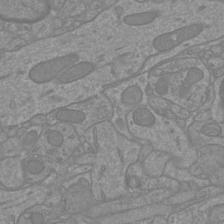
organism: Mouse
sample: Cortical neurons